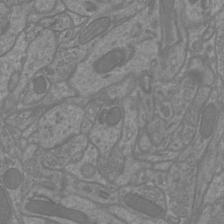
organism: Mouse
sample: Cortical neurons